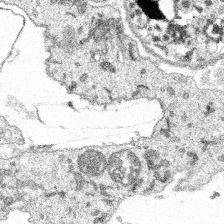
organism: Spongilla lacustris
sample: Multiple